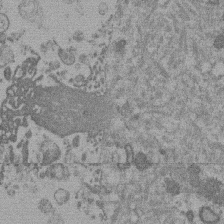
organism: Mouse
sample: Dividing mouse embryo 1 cell stage